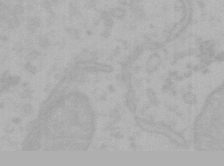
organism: Mouse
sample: Choroid plexus